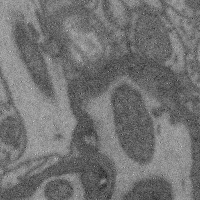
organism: Mouse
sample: Cerebral cortex